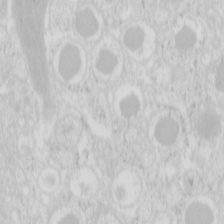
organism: Mouse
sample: Pancreas